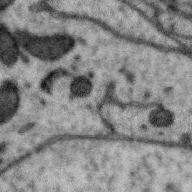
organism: Zebra finch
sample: Brain